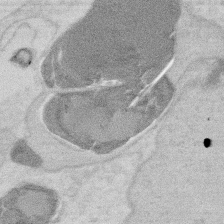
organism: Mouse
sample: T cell stromal cell synapse